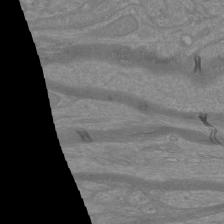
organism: Mouse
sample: Cortical neurons